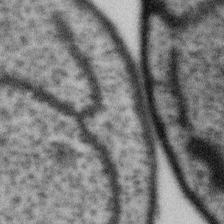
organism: Gemmata obscuriglobus